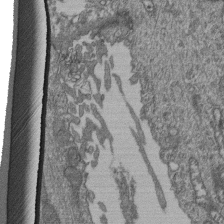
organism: Human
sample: Retinal organoid Rod and Cone cells